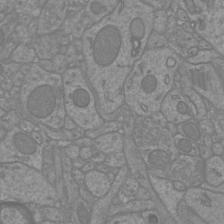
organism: Mouse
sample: Cortical neurons